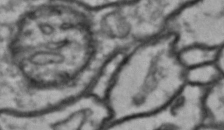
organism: Drosophila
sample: Brain